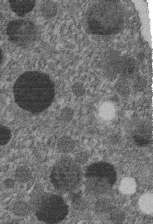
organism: C. elegans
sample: C. elegans embryo early stage